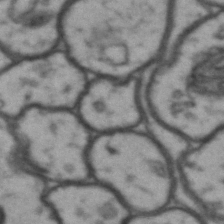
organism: Drosophila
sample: Brain